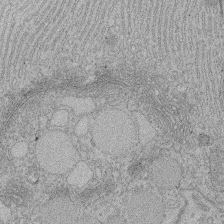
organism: Rat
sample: Salivary granule